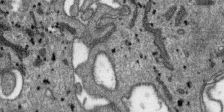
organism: Human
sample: Lung epithelial cells, uninfected (mock) control